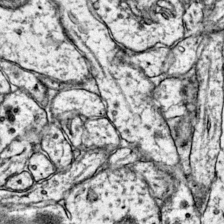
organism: Mouse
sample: Primary visual cortex